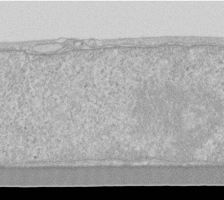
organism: Human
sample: Fibroblast cells